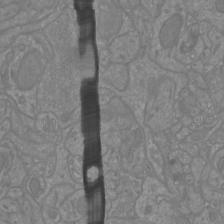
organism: Mouse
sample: Cortical neurons